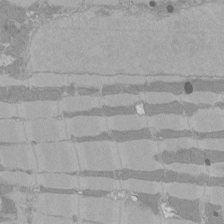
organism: Rat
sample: Left ventricle